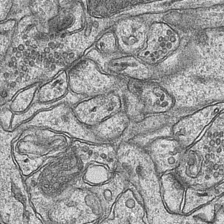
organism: Mouse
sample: CA1 Hippocampus